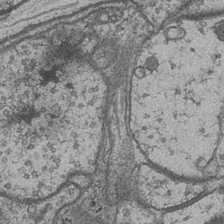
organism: Drosophila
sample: Optic medulla